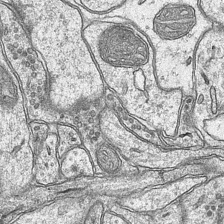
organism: Mouse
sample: CA1 Hippocampus